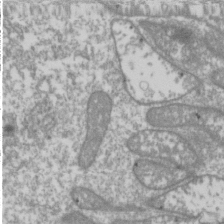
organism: Drosophila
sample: Cell division; meiosis; drosophila spermatocytes